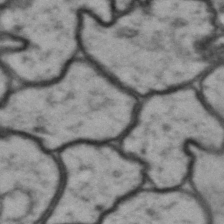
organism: Drosophila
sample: Brain